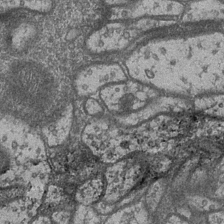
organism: Drosophila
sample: Optic medulla